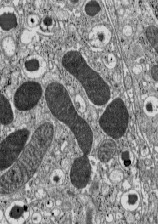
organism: C57BL Mouse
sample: Pancreatic islet